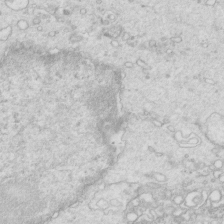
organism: Mouse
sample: Multiciliated cells